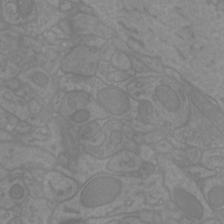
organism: Mouse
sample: Cortical neurons